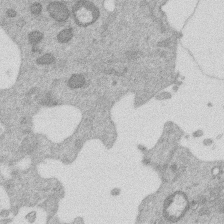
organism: Mouse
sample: Dividing mouse embryo 1 cell stage